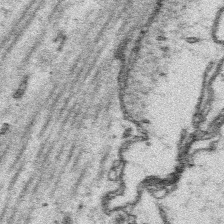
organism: Platynereis dumerilii